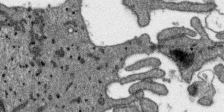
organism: Human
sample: Lung epithelial cells, uninfected (mock) control